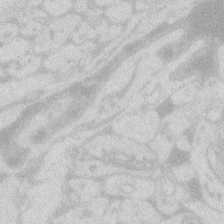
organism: Zebrafish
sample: Macrophage